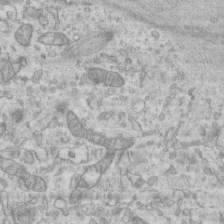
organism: Mouse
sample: Centriole in ependymal cells